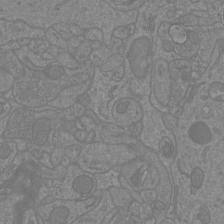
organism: Mouse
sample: Cortical neurons